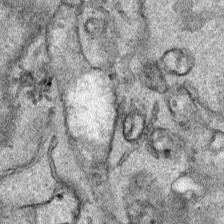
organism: Human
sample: Mitochondria in HCT116 cells